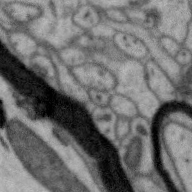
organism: Zebra finch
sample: Brain